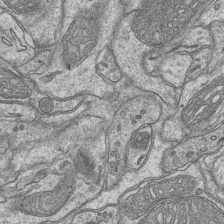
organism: Mouse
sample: CA1 Hippocampus